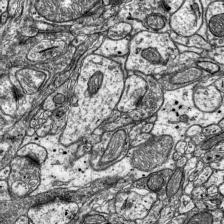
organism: Mouse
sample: Visual Cortex